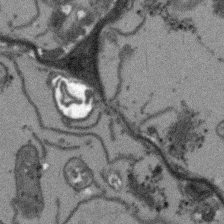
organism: Arabidopsis thaliana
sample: Root tip